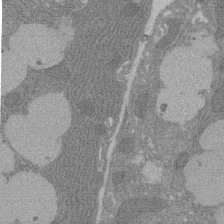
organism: Rat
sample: Salivary granule